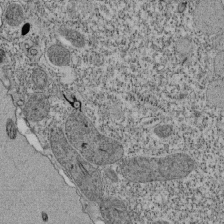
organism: Tetrahymena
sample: Cilia in tetrahymena